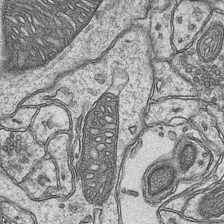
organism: Mouse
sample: CA1 Hippocampus